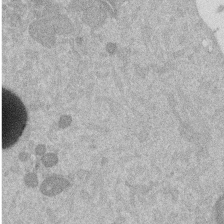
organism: Mouse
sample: Dividing mouse embryo 1 cell stage